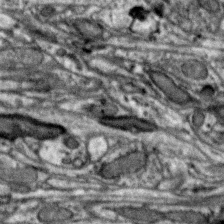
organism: Zebra finch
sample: Brain